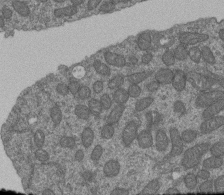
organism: Human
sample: Retinal organoid Rod and Cone cells